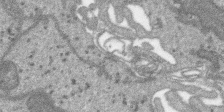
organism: Human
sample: Lung epithelial cells infected with SARS-CoV-2